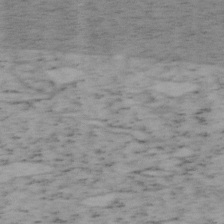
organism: Mouse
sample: OT-I killer T cells with ID8 ovarian cancer cells